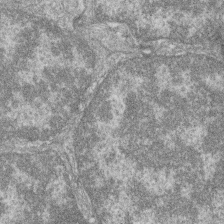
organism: Zebrafish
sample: Cilia; retinal pigment epithelium